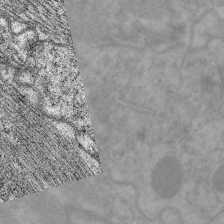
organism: C. elegans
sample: Pharynx